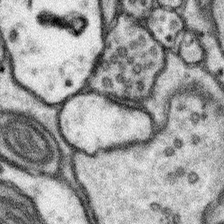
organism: Mouse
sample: Somatosensory cortex neuropil